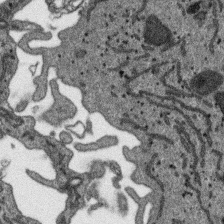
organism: Human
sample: Lung epithelial cells infected with SARS-CoV-2